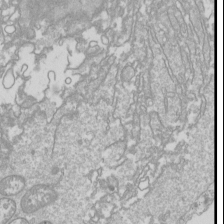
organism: Drosophila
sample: Cell division; meiosis; drosophila spermatocytes